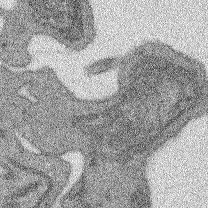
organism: Human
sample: HeLa cells